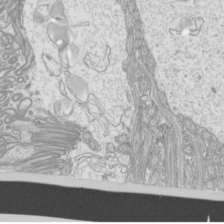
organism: Mouse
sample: Cilia; mouse epididymis